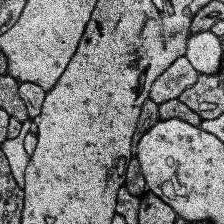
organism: Human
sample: Temporal Lobe